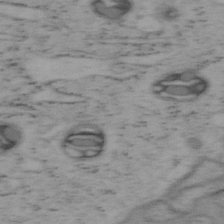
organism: Mouse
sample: OT-I killer T cells with ID8 ovarian cancer cells